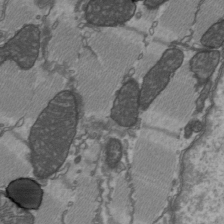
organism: C57BL Mouse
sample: Heart